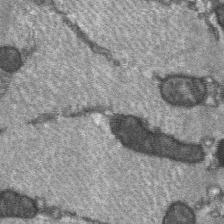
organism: C57BL Mouse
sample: Soleus